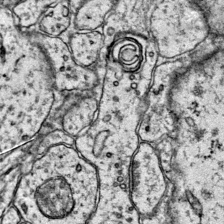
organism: Mouse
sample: Primary visual cortex